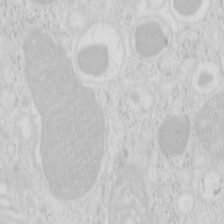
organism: Mouse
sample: Pancreas